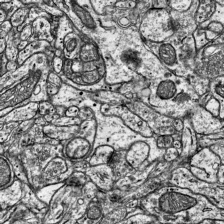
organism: Mouse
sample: Visual Cortex